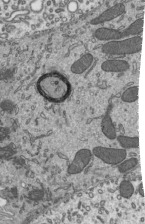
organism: Mouse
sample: Mouse epididymis efferent ductule cilia